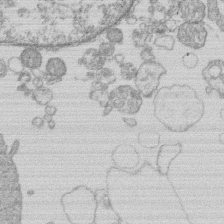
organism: Human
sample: Macrophage cells